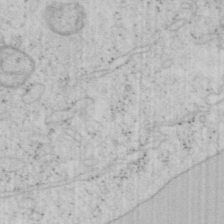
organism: Human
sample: HeLa cells